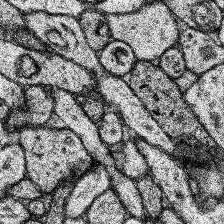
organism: Human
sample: Temporal Lobe